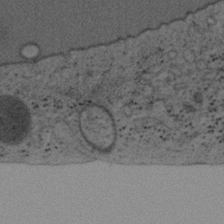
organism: Human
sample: HeLa cells